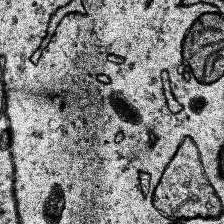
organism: Human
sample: Temporal Lobe